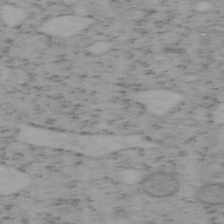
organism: Mouse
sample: OT-I killer T cells with ID8 ovarian cancer cells